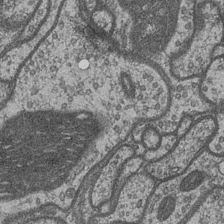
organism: Drosophila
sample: Optic medulla